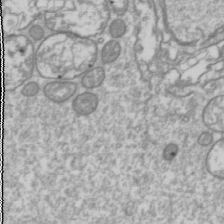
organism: Drosophila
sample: Cell division; meiosis; drosophila spermatocytes